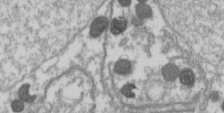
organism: Drosophila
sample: Cell division; meiosis; drosophila spermatocytes